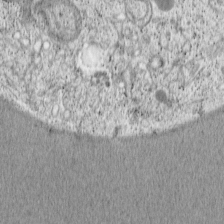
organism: African green monkey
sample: COS-7 cells